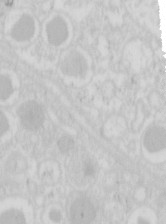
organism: Mouse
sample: Pancreas